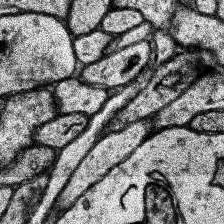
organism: Human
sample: Temporal Lobe